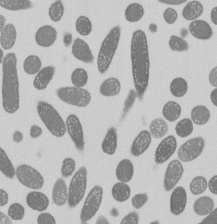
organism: E. coli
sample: Bacterial nucleoid